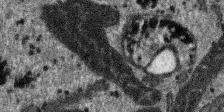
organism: Human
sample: Lung epithelial cells infected with SARS-CoV-2